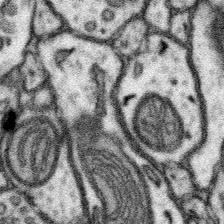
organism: Mouse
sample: Somatosensory cortex neuropil